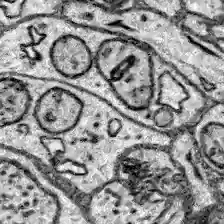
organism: Zebrafish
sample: Brain